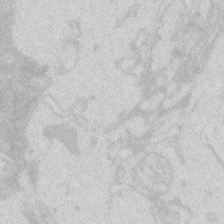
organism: Zebrafish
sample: Macrophage